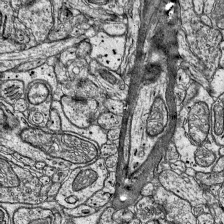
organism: Mouse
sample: Visual Cortex